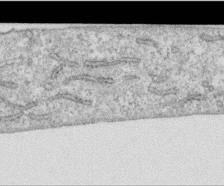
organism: Human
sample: Centriole in RPE cells